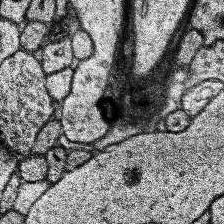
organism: Human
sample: Temporal Lobe